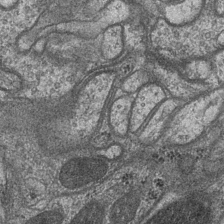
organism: Drosophila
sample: Optic medulla